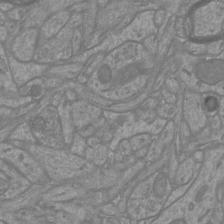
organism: Mouse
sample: Cortical neurons